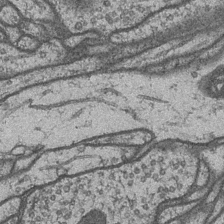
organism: Drosophila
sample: Optic medulla